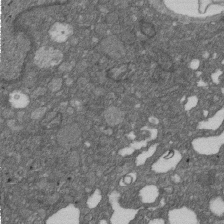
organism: Drosophila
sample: Nephrocyte